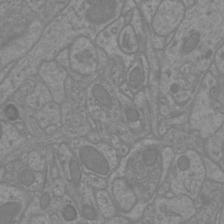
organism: Mouse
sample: Cortical neurons